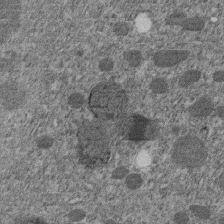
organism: C. elegans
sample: C. elegans embryo early stage